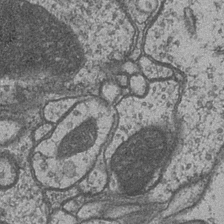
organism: Drosophila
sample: Optic medulla